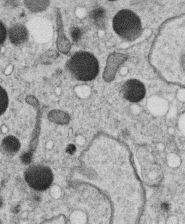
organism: C. elegans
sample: C. elegans oocyte; sperm cells